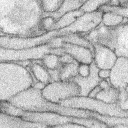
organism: Rabbit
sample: Retina